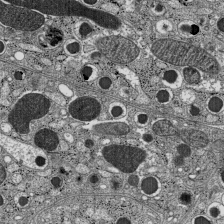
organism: C57BL Mouse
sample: Pancreatic islet